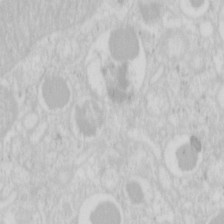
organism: Mouse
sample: Pancreas